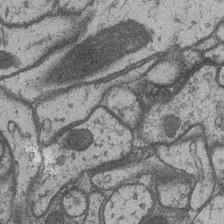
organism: Drosophila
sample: Optic medulla